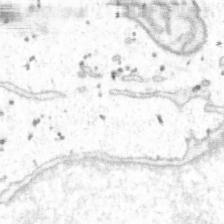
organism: Human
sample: HeLa cells